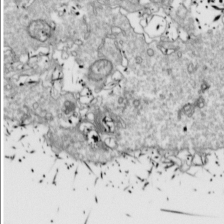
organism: Drosophila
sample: Cell division; meiosis; drosophila spermatocytes